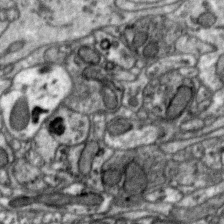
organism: Zebra finch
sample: Brain